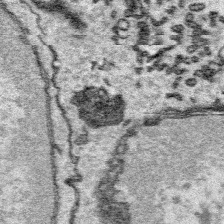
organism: Platynereis dumerilii